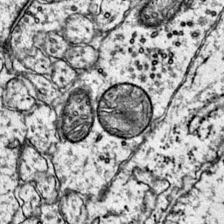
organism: Mouse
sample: Primary visual cortex